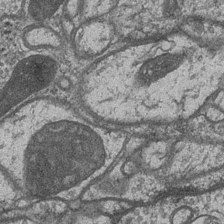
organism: Drosophila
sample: Optic medulla